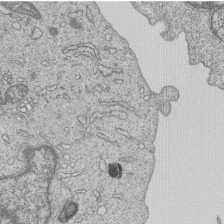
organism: Human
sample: MDA-MB-231 cells